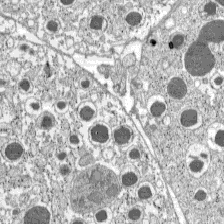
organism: C57BL Mouse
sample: Pancreatic islet